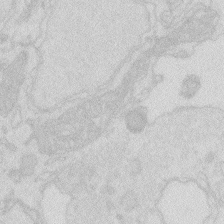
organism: Zebrafish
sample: Macrophage